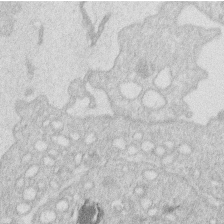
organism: Human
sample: Macrophage cells